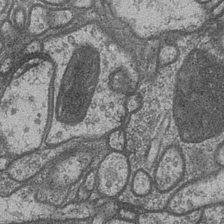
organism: Drosophila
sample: Optic medulla